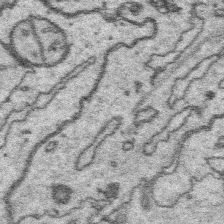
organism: Platynereis dumerilii